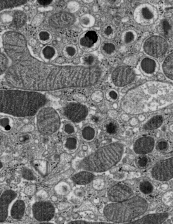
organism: C57BL Mouse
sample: Pancreatic islet